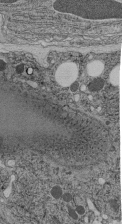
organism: C. elegans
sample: C. elegans pharynx